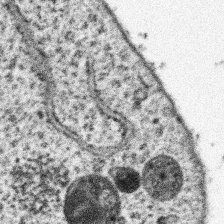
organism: Human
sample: HeLa cells